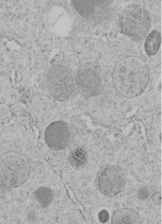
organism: C. elegans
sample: C. elegans embryo early stage